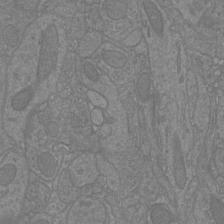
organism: Mouse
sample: Cortical neurons